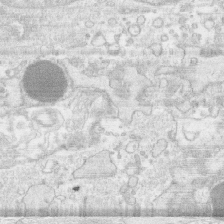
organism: Human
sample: CRL-1474